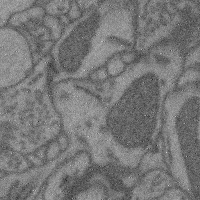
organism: Mouse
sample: Cerebral cortex